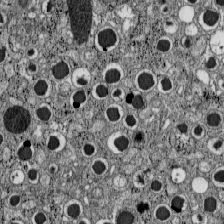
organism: C57BL Mouse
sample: Pancreatic islet